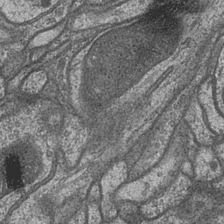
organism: Drosophila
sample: Optic medulla